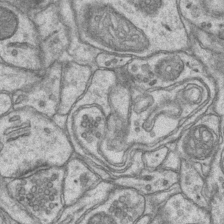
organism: Mouse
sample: CA1 Hippocampus